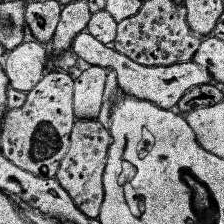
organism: Human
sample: Temporal Lobe